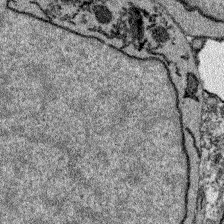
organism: Zebrafish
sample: Larval olfactory bulb